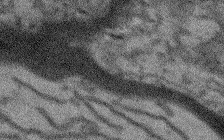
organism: Arabidopsis thaliana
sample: Root tip